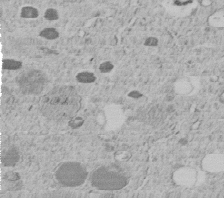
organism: C. elegans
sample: C. elegans embryo early stage